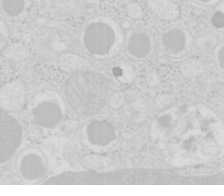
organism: Mouse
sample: Pancreas